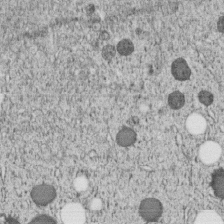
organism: C. elegans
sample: C. elegans embryo early stage